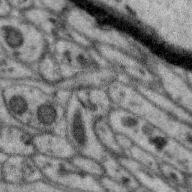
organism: Zebra finch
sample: Brain